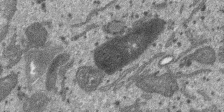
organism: Human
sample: Lung epithelial cells infected with SARS-CoV-2